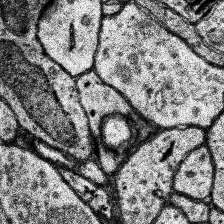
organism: Human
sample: Temporal Lobe